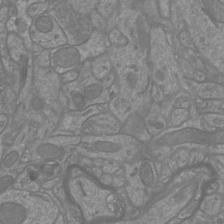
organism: Mouse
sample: Cortical neurons